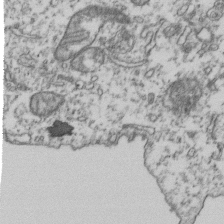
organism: Human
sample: Activated Jurkat CD4+ T cells